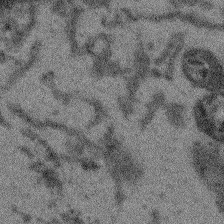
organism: Arabidopsis thaliana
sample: Root tip